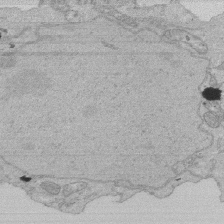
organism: Human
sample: Activated Jurkat CD4+ T cells